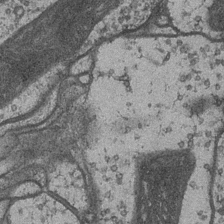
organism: Drosophila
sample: Optic medulla